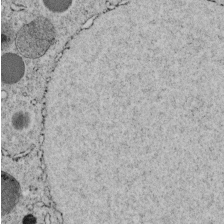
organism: C. elegans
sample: C. elegans embryo early stage